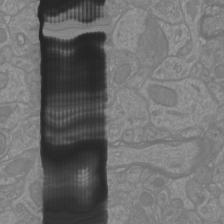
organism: Mouse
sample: Cortical neurons